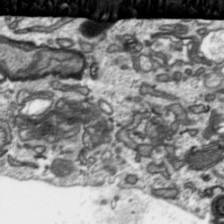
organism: Toxoplasma gondii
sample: Parasites in a vacuole inside a host cell